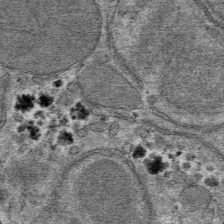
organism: Mouse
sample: Mouse hepatocytes